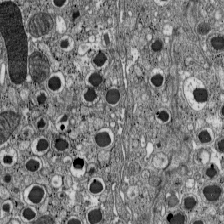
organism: C57BL Mouse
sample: Pancreatic islet